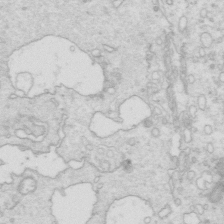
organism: Mouse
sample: Multiciliated cells